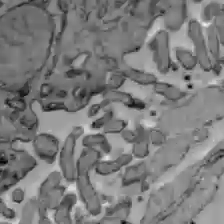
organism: C57BL Mouse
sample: Liver